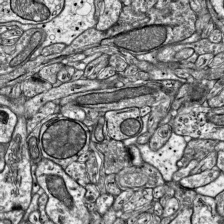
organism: Mouse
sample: Visual Cortex